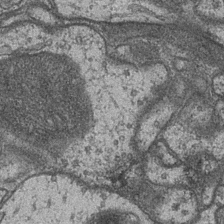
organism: Drosophila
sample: Optic medulla